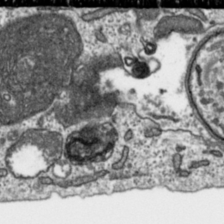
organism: Toxoplasma gondii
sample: Parasites in a vacuole inside a host cell